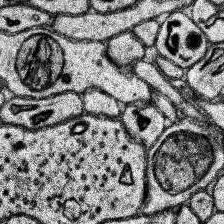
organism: Human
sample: Temporal Lobe